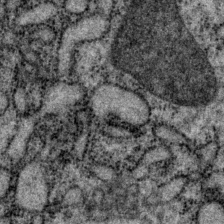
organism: P. pacificus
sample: Pharynx